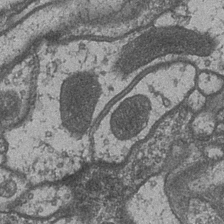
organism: Drosophila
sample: Optic medulla